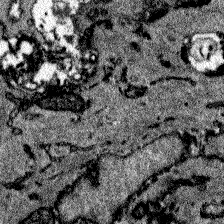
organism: Zebrafish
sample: Larval olfactory bulb